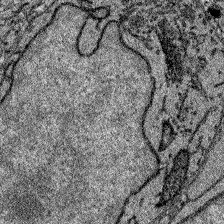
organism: Zebrafish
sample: Larval olfactory bulb